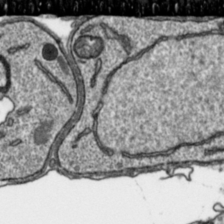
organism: Toxoplasma gondii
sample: Parasites in a vacuole inside a host cell